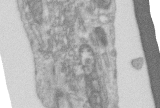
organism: Human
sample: Centriole in RPE cells